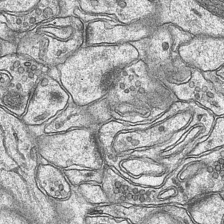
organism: Mouse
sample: CA1 Hippocampus